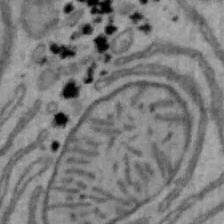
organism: Mouse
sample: Liver